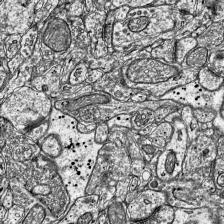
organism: Mouse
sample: Visual Cortex